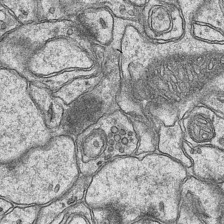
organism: Mouse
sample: CA1 Hippocampus